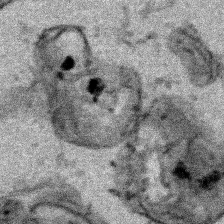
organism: Human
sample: Mitochondria in HCT116 cells